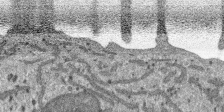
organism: Human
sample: Lung epithelial cells infected with SARS-CoV-2